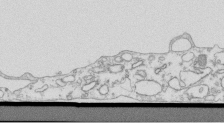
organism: Mouse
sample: Macrophages